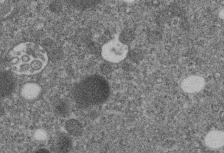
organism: C. elegans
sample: C. elegans embryo early stage